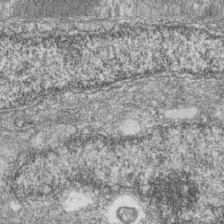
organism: Zebrafish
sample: Cilia; retinal pigment epithelium